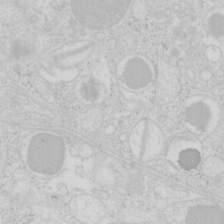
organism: Mouse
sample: Pancreas